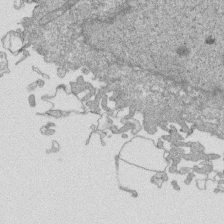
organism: Human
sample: HeLa cell HIV synapse